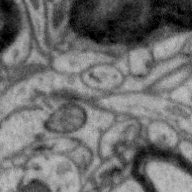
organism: Zebra finch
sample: Brain